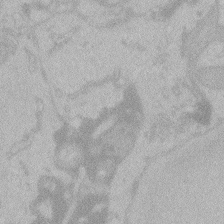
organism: Zebrafish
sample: Macrophage infected with Toxoplasma gondii